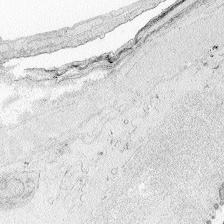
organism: Zebrafish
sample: Whole-Brain